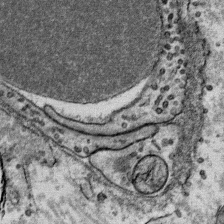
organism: Mouse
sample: Mouse Salivary gland